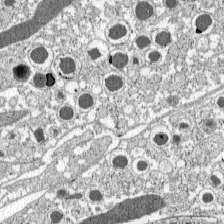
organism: C57BL Mouse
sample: Pancreatic islet